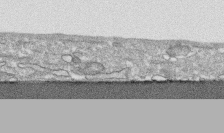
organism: Human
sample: CRL-1474